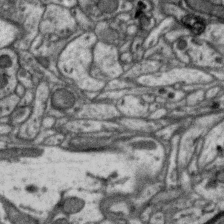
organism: Zebra finch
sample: Brain